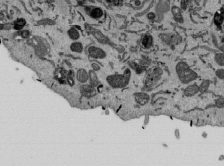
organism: Mouse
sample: ED-1 cell nuclei; centrioles